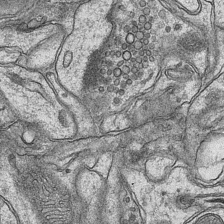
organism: Mouse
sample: CA1 Hippocampus